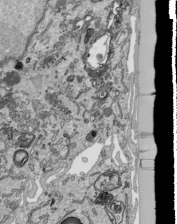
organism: Human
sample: Mitochondria in HCT116 cells